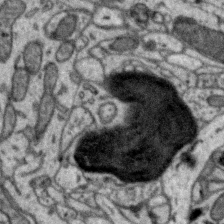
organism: Zebra finch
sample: Brain